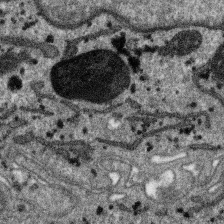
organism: Human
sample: Lung epithelial cells infected with SARS-CoV-2